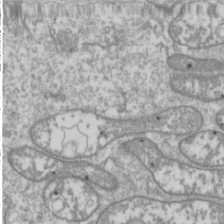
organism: Drosophila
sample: Cell division; meiosis; drosophila spermatocytes